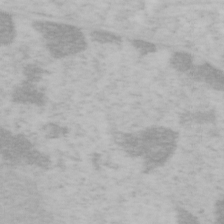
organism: Mouse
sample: OT-I killer T cells with ID8 ovarian cancer cells